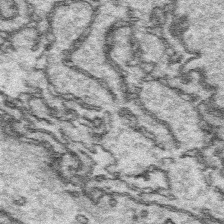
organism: Platynereis dumerilii